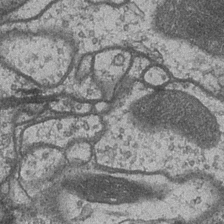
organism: Drosophila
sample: Optic medulla